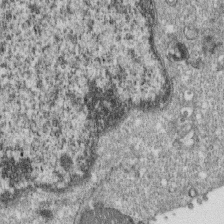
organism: African green monkey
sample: Vero E6 cells infected with SARS-CoV-2